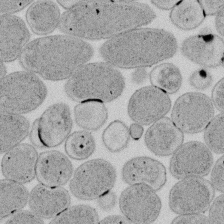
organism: E. coli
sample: Bacterial nucleoid